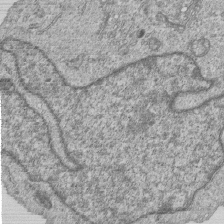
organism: Human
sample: MDA-MB-231 cells